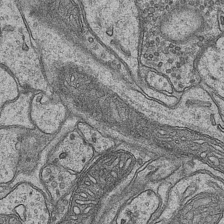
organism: Mouse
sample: CA1 Hippocampus